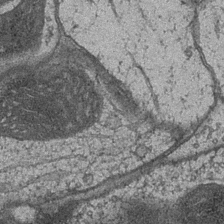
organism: Drosophila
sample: Optic medulla